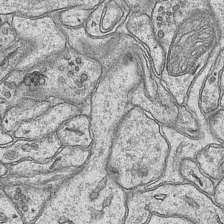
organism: Mouse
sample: CA1 Hippocampus